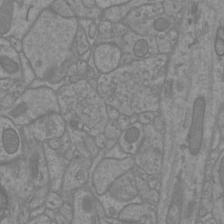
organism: Mouse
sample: Cortical neurons